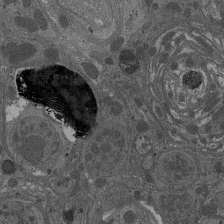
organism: Drosophila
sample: Antenna